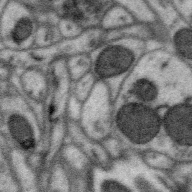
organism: Zebra finch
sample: Brain